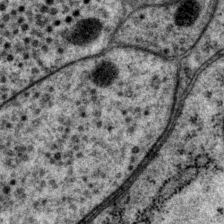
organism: P. pacificus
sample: Pharynx